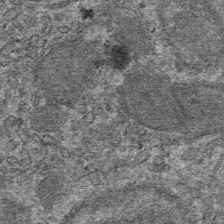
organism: Mouse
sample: Mouse hepatocytes